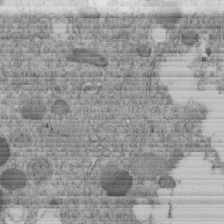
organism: C. elegans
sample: C. elegans embryo early stage